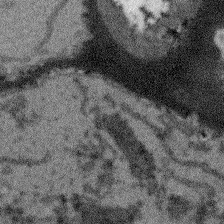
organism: Arabidopsis thaliana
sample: Root tip